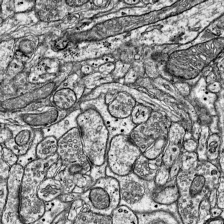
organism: Mouse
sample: Visual Cortex